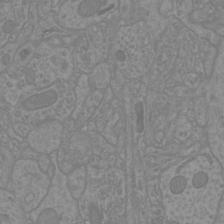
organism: Mouse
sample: Cortical neurons